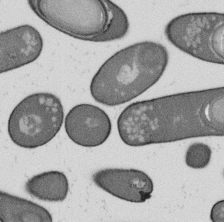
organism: B. subtilis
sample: Bacterial spore